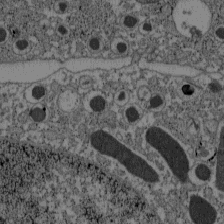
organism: C57BL Mouse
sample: Pancreatic islet